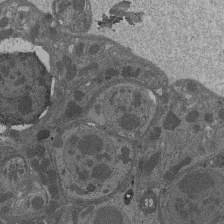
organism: Drosophila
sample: Antenna